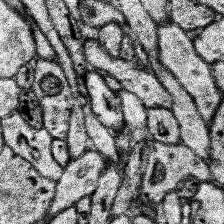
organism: Human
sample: Temporal Lobe